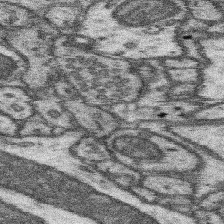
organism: Mouse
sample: Somatosensory cortex neuropil